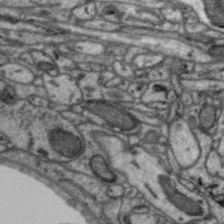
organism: Zebra finch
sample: Brain